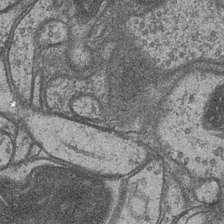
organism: Drosophila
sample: Optic medulla